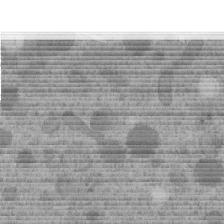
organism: C. elegans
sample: C. elegans embryo early stage